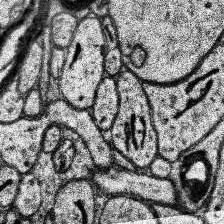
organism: Human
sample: Temporal Lobe